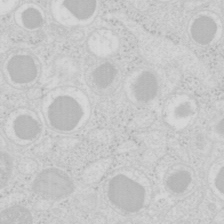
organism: Mouse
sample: Pancreas